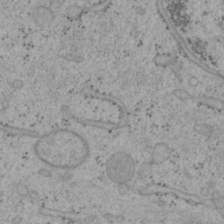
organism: Human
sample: HeLa cells